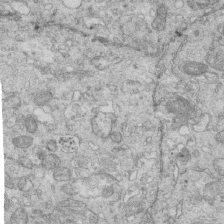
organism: Mouse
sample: Multiciliated cells